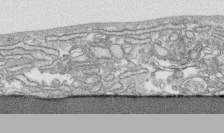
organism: Human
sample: CRL-1474